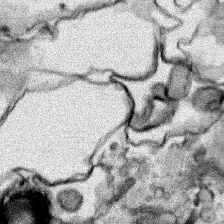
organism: Human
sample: Mitochondria in HCT116 cells